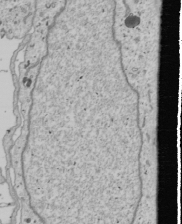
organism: Human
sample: Mitochondria in U2OS cells